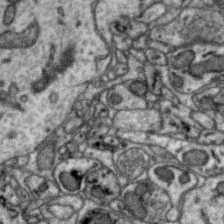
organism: Zebra finch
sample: Brain